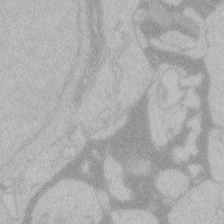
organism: Zebrafish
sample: Macrophage infected with Toxoplasma gondii